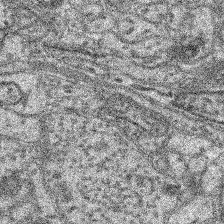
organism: Mouse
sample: Retina